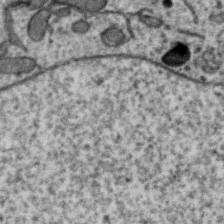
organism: Zebra finch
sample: Brain